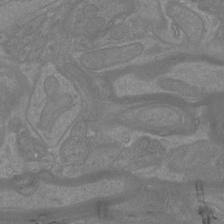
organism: Mouse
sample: Cortical neurons